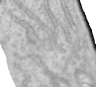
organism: Human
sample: Centriole in RPE cells